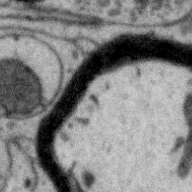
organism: Zebra finch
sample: Brain